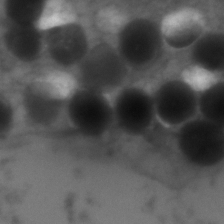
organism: Zebrafish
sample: Zebrafish embryo